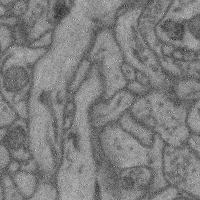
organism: Mouse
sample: Cerebral cortex